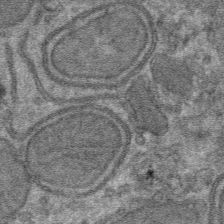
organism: Mouse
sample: Mouse hepatocytes